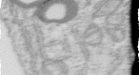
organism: Human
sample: Centriole in RPE cells